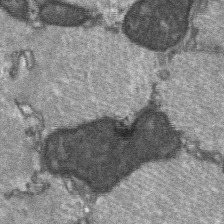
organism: C57BL Mouse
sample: Soleus